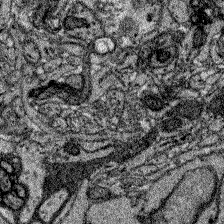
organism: Zebrafish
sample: Larval olfactory bulb